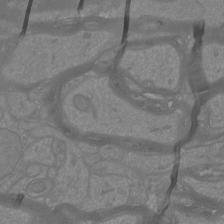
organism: Mouse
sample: Cortical neurons